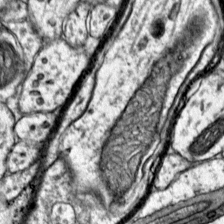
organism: Mouse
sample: Primary visual cortex